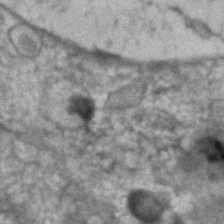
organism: Human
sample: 1205lu cells